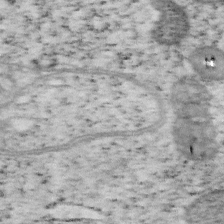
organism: Mouse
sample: OT-I killer T cells with ID8 ovarian cancer cells